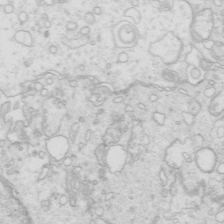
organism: Mouse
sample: Multiciliated cells